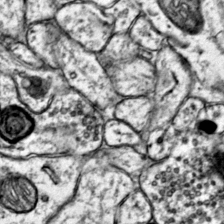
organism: Mouse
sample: Primary visual cortex